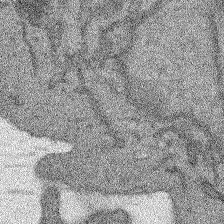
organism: Human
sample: HeLa cells